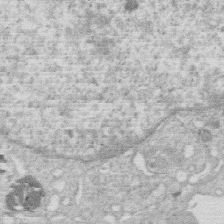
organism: Human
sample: Macrophage cells